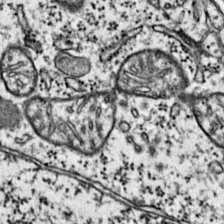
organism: Mouse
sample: Primary visual cortex